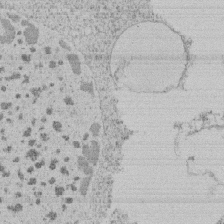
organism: Tetrahymena